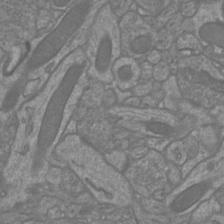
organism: Mouse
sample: Cortical neurons